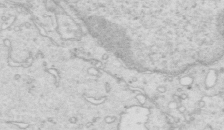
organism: Mouse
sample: Multiciliated cells